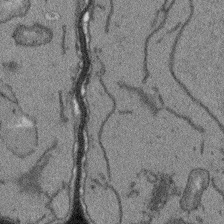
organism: Arabidopsis thaliana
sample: Root tip